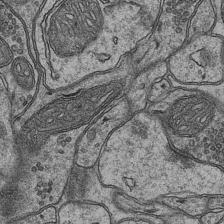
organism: Mouse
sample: CA1 Hippocampus